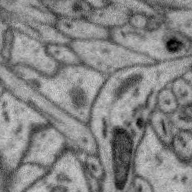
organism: Zebra finch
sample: Brain